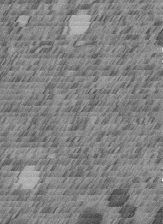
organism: C. elegans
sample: C. elegans embryo early stage